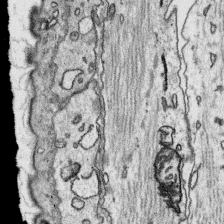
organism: Platynereis dumerilii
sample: Parapodia